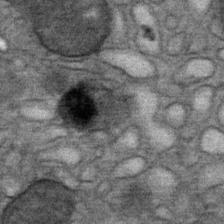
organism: Mouse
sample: Mouse Salivary gland